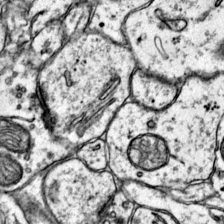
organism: Mouse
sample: Primary visual cortex